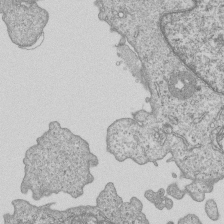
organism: Human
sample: MDA-MB-231 cells